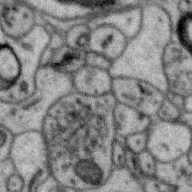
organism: Zebra finch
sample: Brain